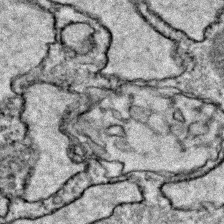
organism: Zebrafish